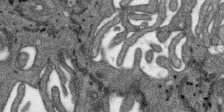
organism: Human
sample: Lung epithelial cells, uninfected (mock) control